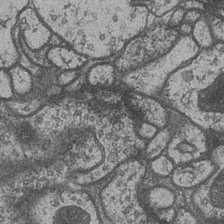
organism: Drosophila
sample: Optic medulla